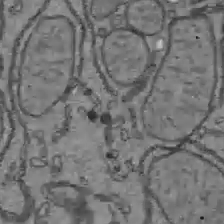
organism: C57BL Mouse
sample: Liver